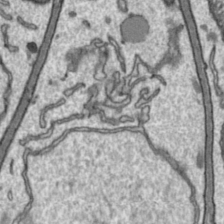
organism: Toxoplasma gondii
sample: Parasites in a vacuole inside a host cell